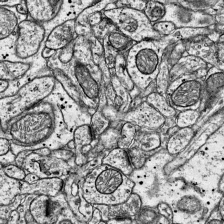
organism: Mouse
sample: Visual Cortex